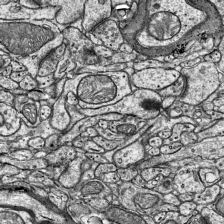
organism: Mouse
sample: Visual Cortex